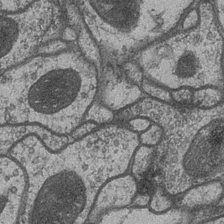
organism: Drosophila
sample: Optic medulla